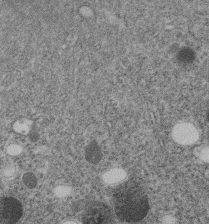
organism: C. elegans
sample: C. elegans embryo early stage